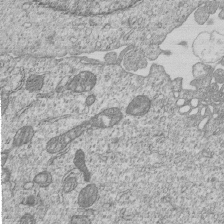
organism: Human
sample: MDA-MB-231 cells